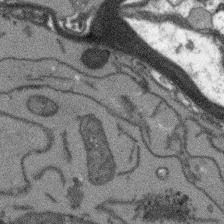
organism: Arabidopsis thaliana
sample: Root tip